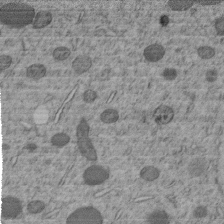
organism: C. elegans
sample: C. elegans embryo early stage